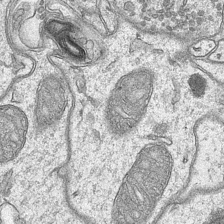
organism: Mouse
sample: CA1 Hippocampus